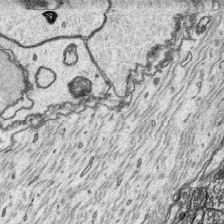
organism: Platynereis dumerilii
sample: Parapodia